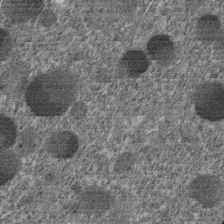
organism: C. elegans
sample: C. elegans embryo early stage